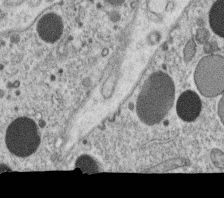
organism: C. elegans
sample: C. elegans oocyte; sperm cells